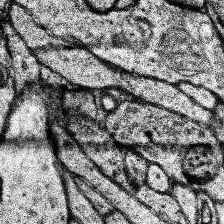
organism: Human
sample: Temporal Lobe